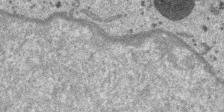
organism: Human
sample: Lung epithelial cells infected with SARS-CoV-2